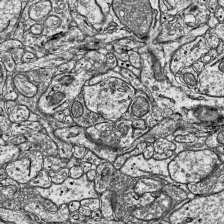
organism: Mouse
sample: Visual Cortex